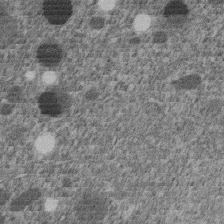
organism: C. elegans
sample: C. elegans embryo early stage